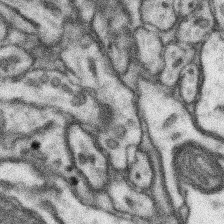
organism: Mouse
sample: Somatosensory cortex neuropil